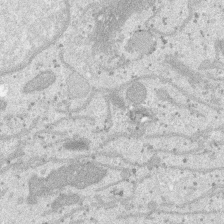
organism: Human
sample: Lung epithelial cells infected with SARS-CoV-2